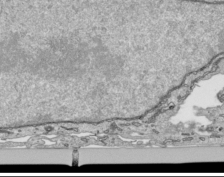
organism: Human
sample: Mitochondria in HCT116 cells